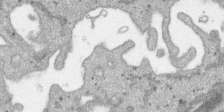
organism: Human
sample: Lung epithelial cells infected with SARS-CoV-2